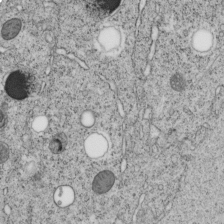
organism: C. elegans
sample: C. elegans embryo early stage